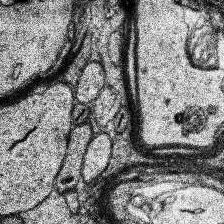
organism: Human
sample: Temporal Lobe